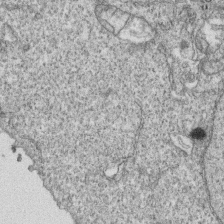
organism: Human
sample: HeLa cell HIV synapse